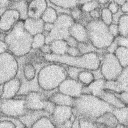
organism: Rabbit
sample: Retina